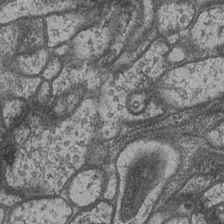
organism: Drosophila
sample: Optic medulla